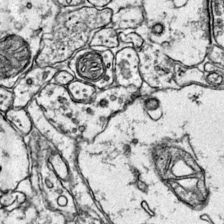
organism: Mouse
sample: Primary visual cortex